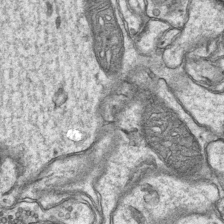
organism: Mouse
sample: CA1 Hippocampus